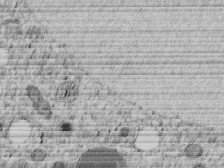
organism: C. elegans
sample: C. elegans embryo early stage